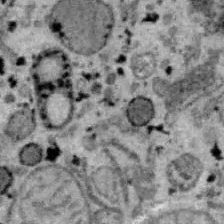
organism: Mouse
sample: Liver from an obese (ob/ob) mouse